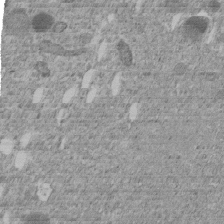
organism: C. elegans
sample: C. elegans embryo early stage